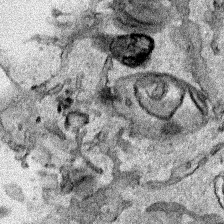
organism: Human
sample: Mitochondria in HCT116 cells